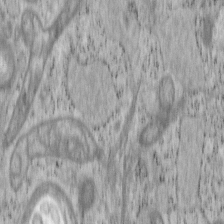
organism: Human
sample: HeLa cells